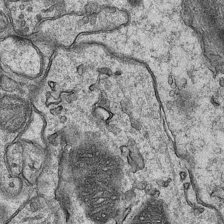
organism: Mouse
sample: CA1 Hippocampus